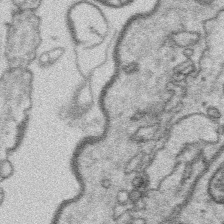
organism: Platynereis dumerilii